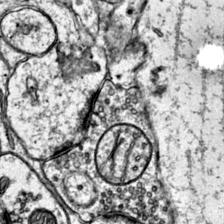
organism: Mouse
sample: Primary visual cortex